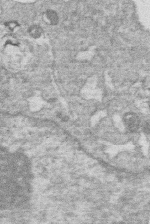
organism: Human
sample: Macrophage cells